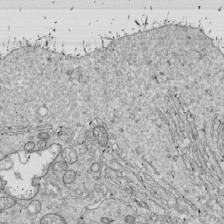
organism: Drosophila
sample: Cell division; meiosis; drosophila spermatocytes